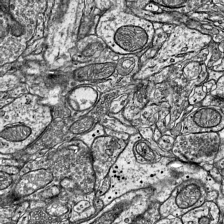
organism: Mouse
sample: Visual Cortex